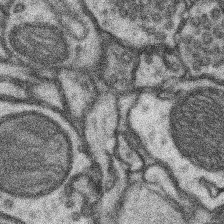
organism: Mouse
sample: Somatosensory cortex neuropil